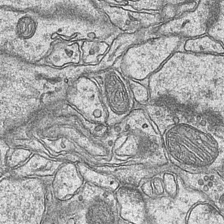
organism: Mouse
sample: CA1 Hippocampus